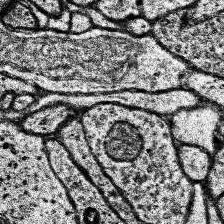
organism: Human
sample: Temporal Lobe